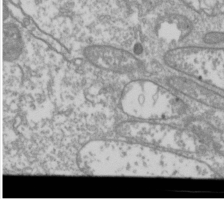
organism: Drosophila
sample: Cell division; meiosis; drosophila spermatocytes